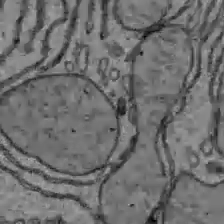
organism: C57BL Mouse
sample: Liver